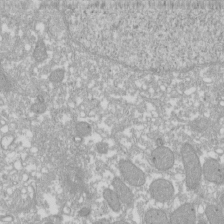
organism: Xenopus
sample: Cilia; centrioles in frog embryo cells